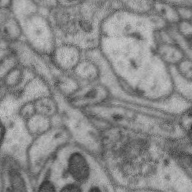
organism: Zebra finch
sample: Brain